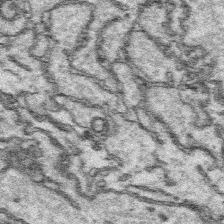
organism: Platynereis dumerilii